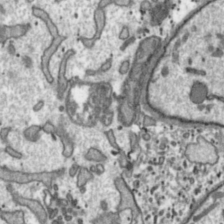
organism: Toxoplasma gondii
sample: Parasites in a vacuole inside a host cell